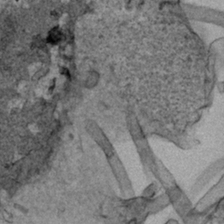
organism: Human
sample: Mitochondria in HCT116 cells